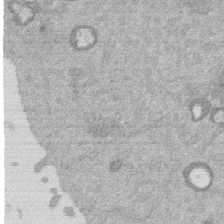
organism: Mouse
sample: Dividing mouse embryo 1 cell stage